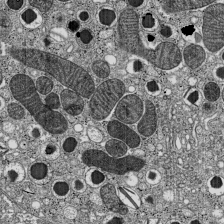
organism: C57BL Mouse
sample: Pancreatic islet